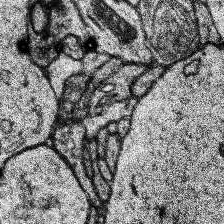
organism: Human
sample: Temporal Lobe